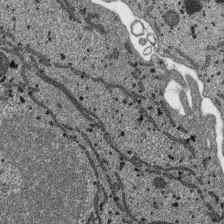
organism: Human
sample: Lung epithelial cells infected with SARS-CoV-2